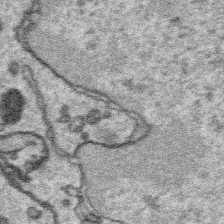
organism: Platynereis dumerilii